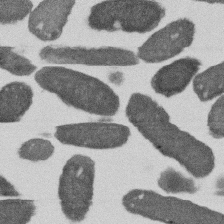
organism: E. coli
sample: Bacterial nucleoid